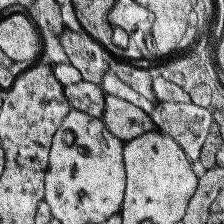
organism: Human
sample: Temporal Lobe